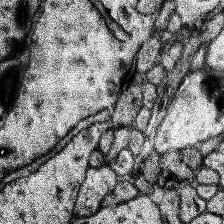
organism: Human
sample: Temporal Lobe